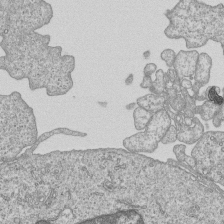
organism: Human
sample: MDA-MB-231 cells